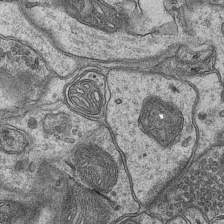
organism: Mouse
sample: CA1 Hippocampus